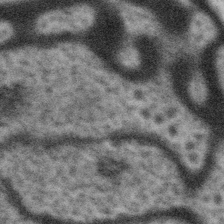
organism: Gemmata obscuriglobus